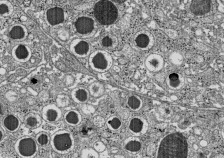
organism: C57BL Mouse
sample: Pancreatic islet